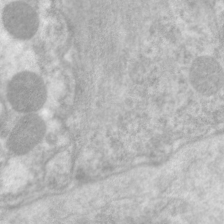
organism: C. elegans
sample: Pharynx